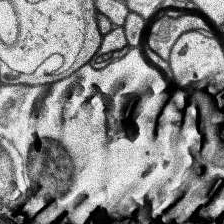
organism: Human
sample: Temporal Lobe